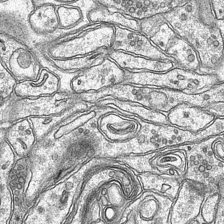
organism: Mouse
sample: CA1 Hippocampus